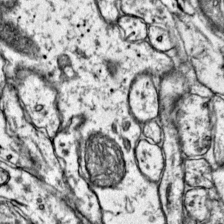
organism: Mouse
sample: Primary visual cortex